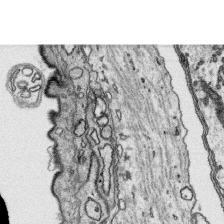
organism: Platynereis dumerilii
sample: Parapodia